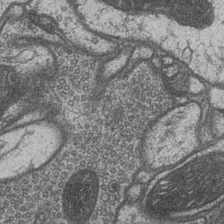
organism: Drosophila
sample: Optic medulla